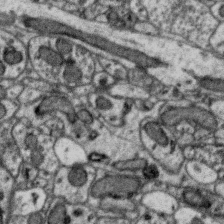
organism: Zebra finch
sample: Brain